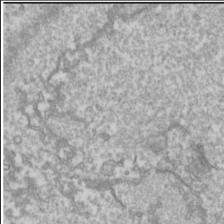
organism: Drosophila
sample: Cell division; meiosis; drosophila spermatocytes